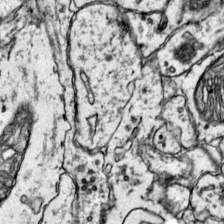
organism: Mouse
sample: Primary visual cortex